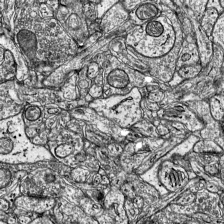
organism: Mouse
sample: Visual Cortex